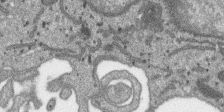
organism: Human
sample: Lung epithelial cells infected with SARS-CoV-2